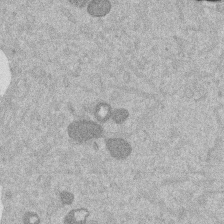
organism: Mouse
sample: Dividing mouse embryo 1 cell stage